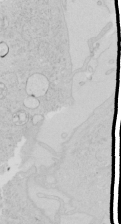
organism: Human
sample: Mitochondria in HCT116 cells